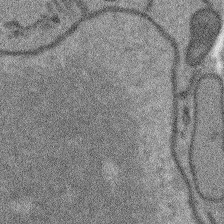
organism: Arabidopsis thaliana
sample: Root tip